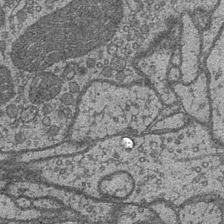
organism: Drosophila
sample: Optic medulla